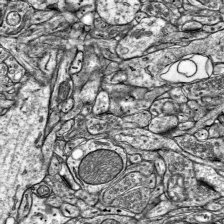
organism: Mouse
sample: Visual Cortex